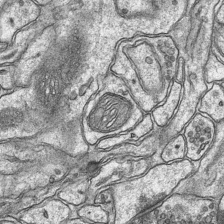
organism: Mouse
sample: CA1 Hippocampus